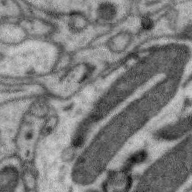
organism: Zebra finch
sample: Brain